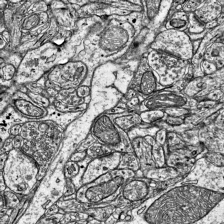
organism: Mouse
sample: Visual Cortex